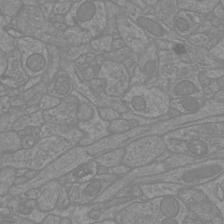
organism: Mouse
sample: Cortical neurons